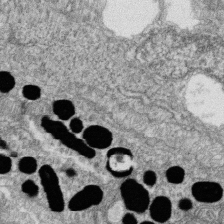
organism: Zebrafish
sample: Cilia; retinal pigment epithelium